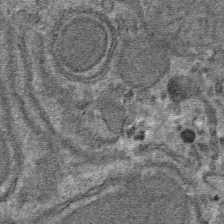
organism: Mouse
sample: Mouse hepatocytes